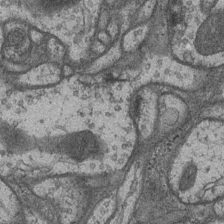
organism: Drosophila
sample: Optic medulla